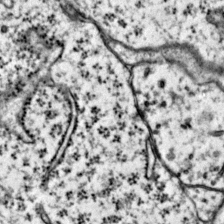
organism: Mouse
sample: Primary visual cortex